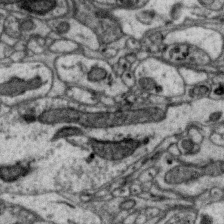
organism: Zebra finch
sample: Brain